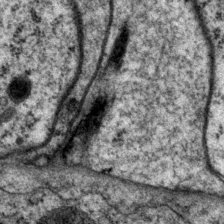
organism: P. pacificus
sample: Pharynx